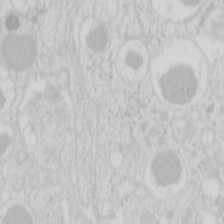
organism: Mouse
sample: Pancreas